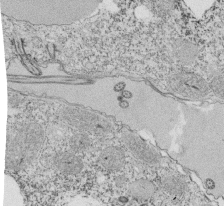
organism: Tetrahymena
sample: Cilia in tetrahymena